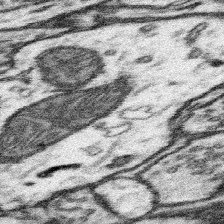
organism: Mouse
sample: Somatosensory cortex neuropil